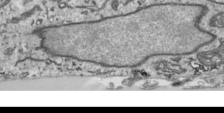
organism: Human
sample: Mitochondria in HCT116 cells